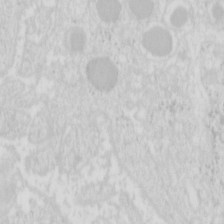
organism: Mouse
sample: Pancreas